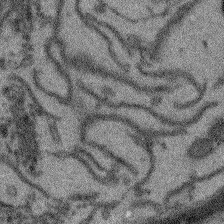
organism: Arabidopsis thaliana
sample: Root tip